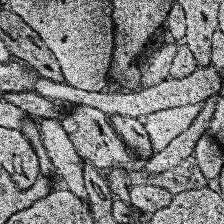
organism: Human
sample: Temporal Lobe